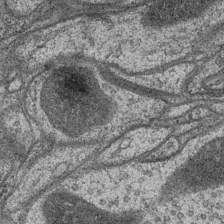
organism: Drosophila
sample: Optic medulla